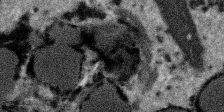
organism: Human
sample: Lung epithelial cells infected with SARS-CoV-2